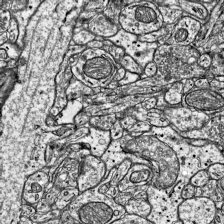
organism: Mouse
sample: Visual Cortex